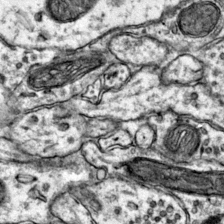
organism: Mouse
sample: Primary visual cortex